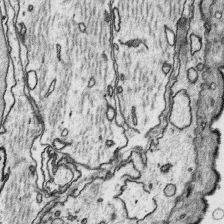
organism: Platynereis dumerilii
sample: Parapodia